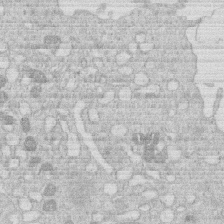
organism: Human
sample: Macrophage cells